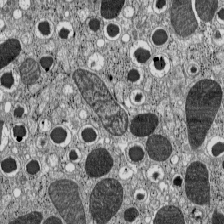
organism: C57BL Mouse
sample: Pancreatic islet